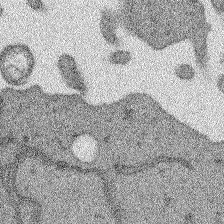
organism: Human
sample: HeLa cells